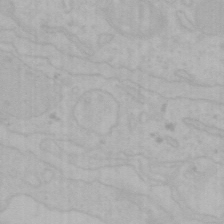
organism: Mouse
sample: Choroid plexus